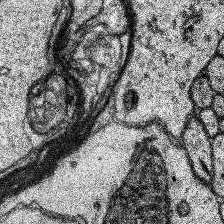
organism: Human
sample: Temporal Lobe